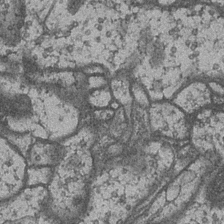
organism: Drosophila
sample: Optic medulla